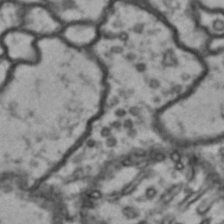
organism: Drosophila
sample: Brain